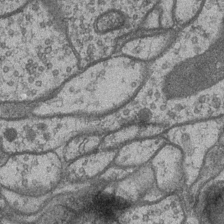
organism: Drosophila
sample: Optic medulla